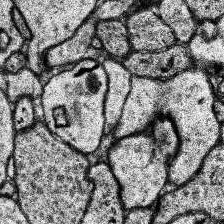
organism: Human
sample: Temporal Lobe